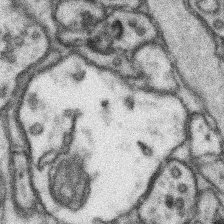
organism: Mouse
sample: Somatosensory cortex neuropil